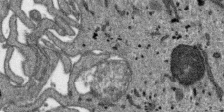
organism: Human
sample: Lung epithelial cells, uninfected (mock) control